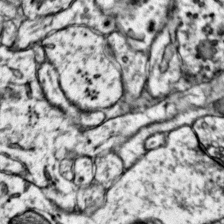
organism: Mouse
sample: Primary visual cortex